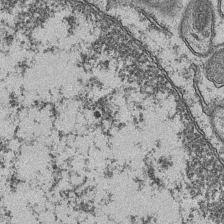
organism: Mouse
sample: CA1 Hippocampus